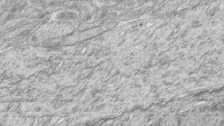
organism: Zebrafish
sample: synaptic ribbons in rod cells and cone cells